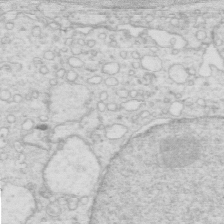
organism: Mouse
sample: Multiciliated cells